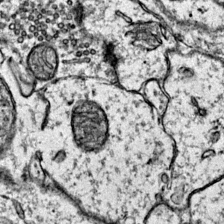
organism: Mouse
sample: Primary visual cortex